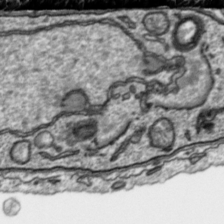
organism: Toxoplasma gondii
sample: Parasites in a vacuole inside a host cell